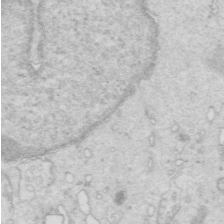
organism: Mouse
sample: Multiciliated cells